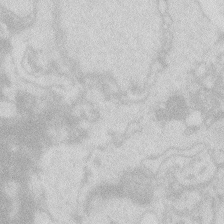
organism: Zebrafish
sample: Macrophage